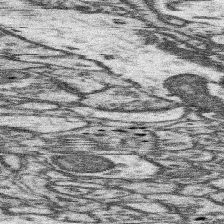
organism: Mouse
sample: Somatosensory cortex neuropil